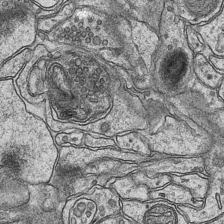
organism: Mouse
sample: CA1 Hippocampus